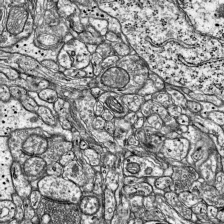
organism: Mouse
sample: Visual Cortex